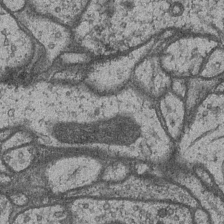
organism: Drosophila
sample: Optic medulla